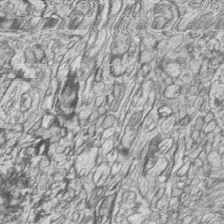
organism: Zebrafish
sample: synaptic ribbons in rod cells and cone cells